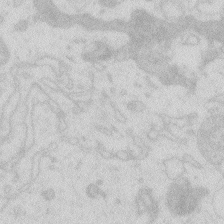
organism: Zebrafish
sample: Macrophage